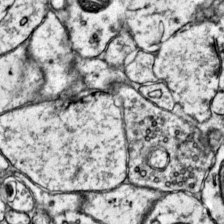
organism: Mouse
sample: Primary visual cortex